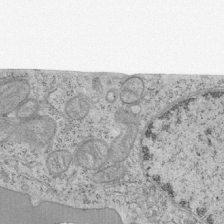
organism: Human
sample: HeLa cells